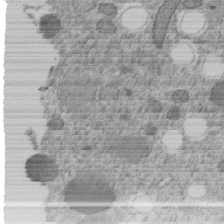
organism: C. elegans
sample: C. elegans embryo early stage